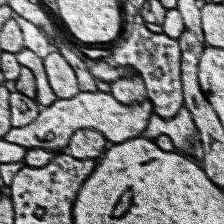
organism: Human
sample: Temporal Lobe